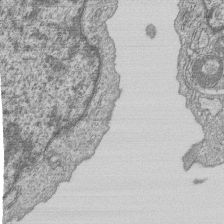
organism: Human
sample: MDA-MB-231 cells